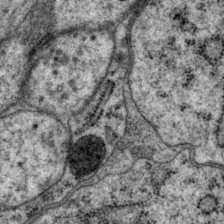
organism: P. pacificus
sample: Pharynx